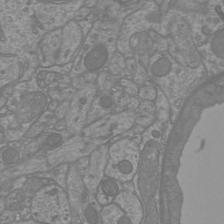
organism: Mouse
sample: Cortical neurons